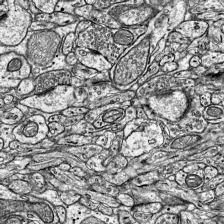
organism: Mouse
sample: Visual Cortex